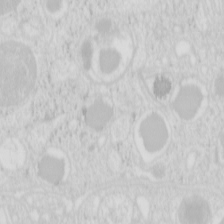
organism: Mouse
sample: Pancreas